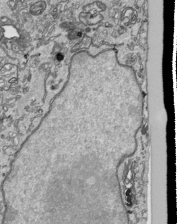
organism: Human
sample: Mitochondria in HCT116 cells